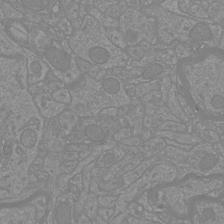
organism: Mouse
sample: Cortical neurons